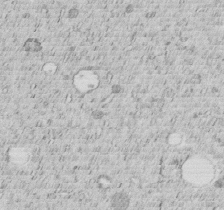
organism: C. elegans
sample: C. elegans embryo early stage